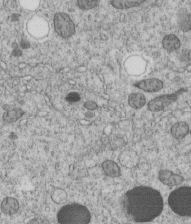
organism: C. elegans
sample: C. elegans embryo early stage